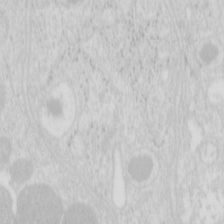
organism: Mouse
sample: Pancreas